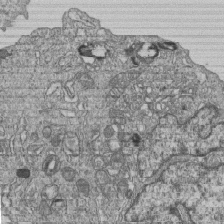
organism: Human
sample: MDA-MB-231 cells